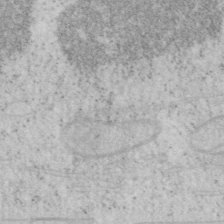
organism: Human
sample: HeLa cells